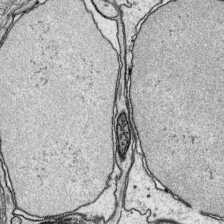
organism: Platynereis dumerilii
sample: Parapodia